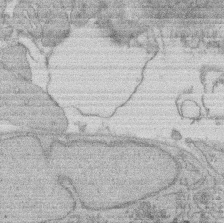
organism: Rat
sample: Salivary granule